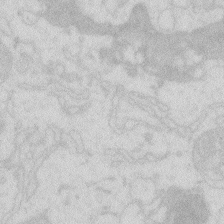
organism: Zebrafish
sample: Macrophage